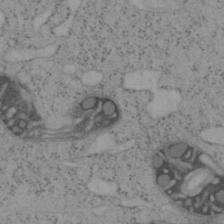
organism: Mouse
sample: OT-I killer T cells with ID8 ovarian cancer cells